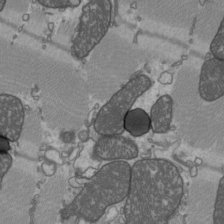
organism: C57BL Mouse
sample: Heart